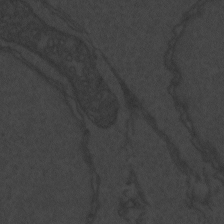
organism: Zebrafish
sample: Macrophage infected with Toxoplasma gondii